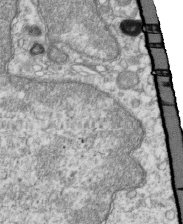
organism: Mouse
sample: Activated OT-1 CD8+ T cells